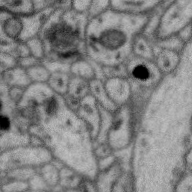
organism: Zebra finch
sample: Brain